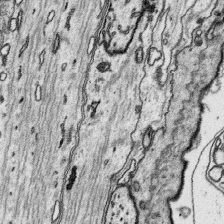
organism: Platynereis dumerilii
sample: Parapodia